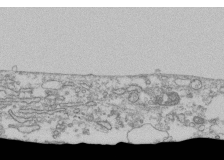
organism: Human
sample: Fibroblast cells